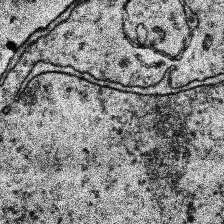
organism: Human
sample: Temporal Lobe